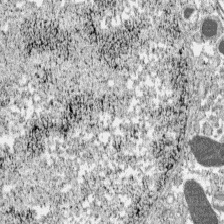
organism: C57BL Mouse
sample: Pancreatic islet